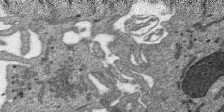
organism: Human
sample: Lung epithelial cells infected with SARS-CoV-2